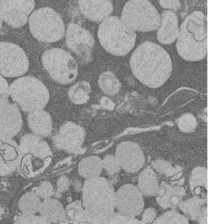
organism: Rat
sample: Salivary granule